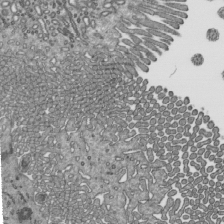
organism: Mouse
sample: Mouse epididymis efferent ductule cilia